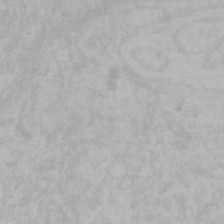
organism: Mouse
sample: Choroid plexus